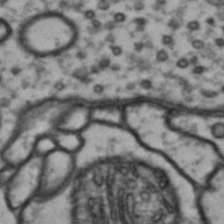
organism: Drosophila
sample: Brain